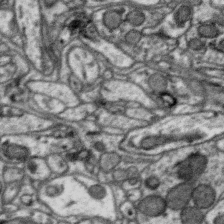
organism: Zebra finch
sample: Brain